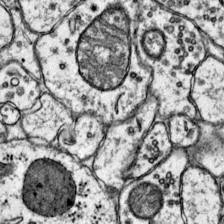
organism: Mouse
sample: Primary visual cortex